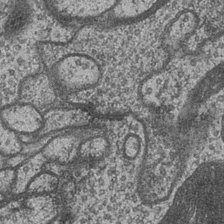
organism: Drosophila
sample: Optic medulla